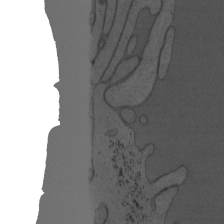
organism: Mouse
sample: OT-I killer T cells with ID8 ovarian cancer cells